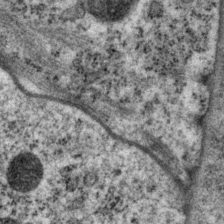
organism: P. pacificus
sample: Pharynx